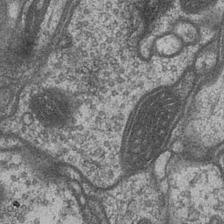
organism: Drosophila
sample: Optic medulla